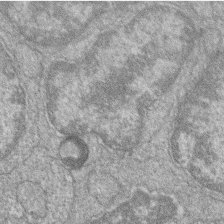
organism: Zebrafish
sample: Cilia; retinal pigment epithelium